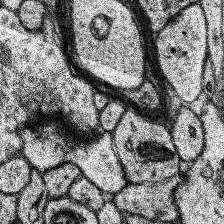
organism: Human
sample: Temporal Lobe